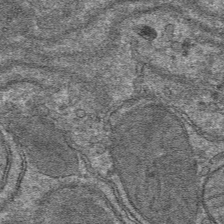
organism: Mouse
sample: Mouse hepatocytes